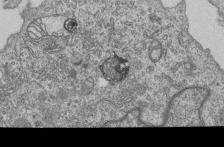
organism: Human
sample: MDA-MB-231 cells